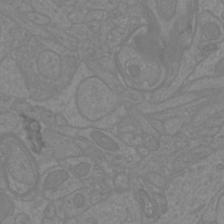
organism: Mouse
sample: Cortical neurons